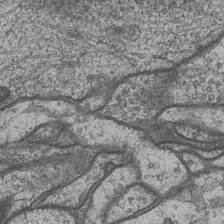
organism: Drosophila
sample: Optic medulla